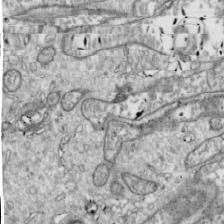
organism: Drosophila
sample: Cell division; meiosis; drosophila spermatocytes